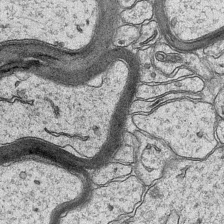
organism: Mouse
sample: CA1 Hippocampus